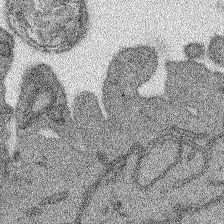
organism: Human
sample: HeLa cells